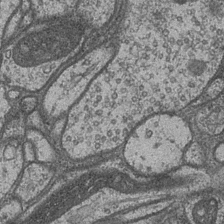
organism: Drosophila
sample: Optic medulla